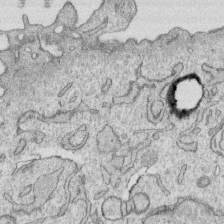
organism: Human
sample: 1205lu cells